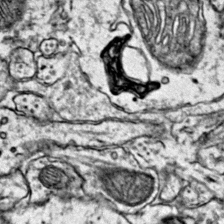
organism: Mouse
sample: Primary visual cortex